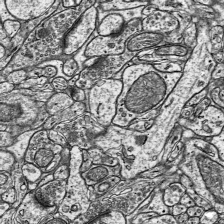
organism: Mouse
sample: Visual Cortex